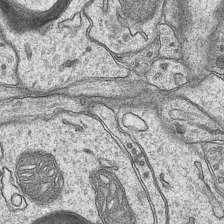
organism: Mouse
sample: CA1 Hippocampus